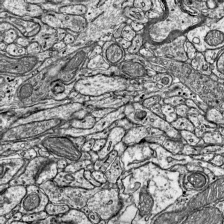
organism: Mouse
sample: Visual Cortex